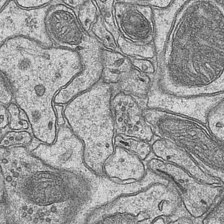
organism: Mouse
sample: CA1 Hippocampus